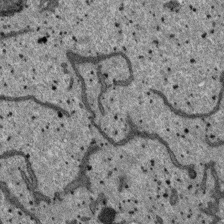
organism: Human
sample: Lung epithelial cells, uninfected (mock) control